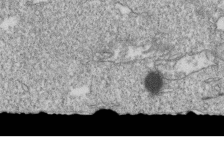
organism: Human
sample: HeLa cell HIV synapse